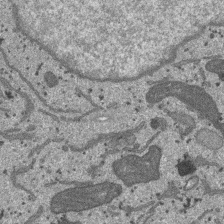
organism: Human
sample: Lung epithelial cells infected with SARS-CoV-2